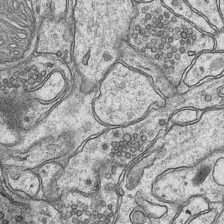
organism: Mouse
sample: CA1 Hippocampus